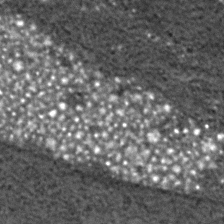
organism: C. elegans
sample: C. elegans embryo